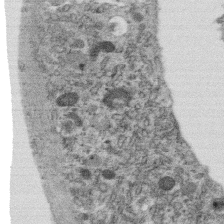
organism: C. elegans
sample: C. elegans oocyte; sperm cells